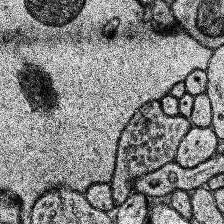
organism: Human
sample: Temporal Lobe